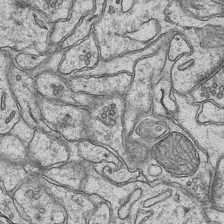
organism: Mouse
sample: CA1 Hippocampus